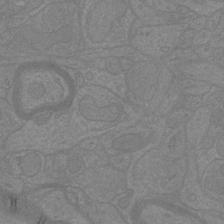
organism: Mouse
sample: Cortical neurons